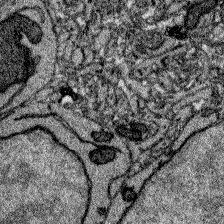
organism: Zebrafish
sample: Larval olfactory bulb